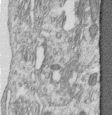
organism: Human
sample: Centriole in RPE cells